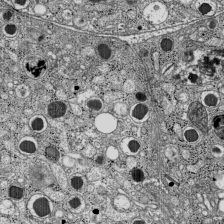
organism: C57BL Mouse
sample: Pancreatic islet